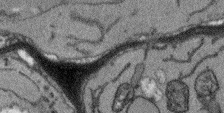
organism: Arabidopsis thaliana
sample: Root tip